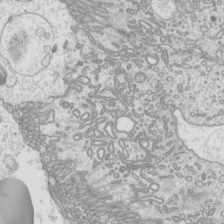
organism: Mouse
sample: Cilia; mouse epididymis